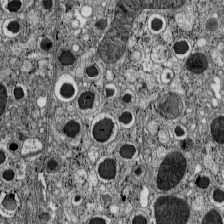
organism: C57BL Mouse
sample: Pancreatic islet